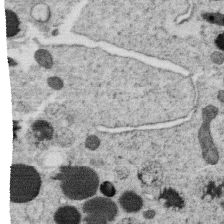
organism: C. elegans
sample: C. elegans oocyte; sperm cells